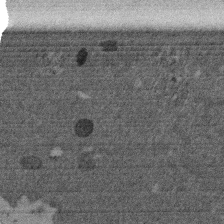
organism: Mouse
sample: Dividing mouse embryo 1 cell stage